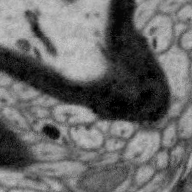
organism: Zebra finch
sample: Brain